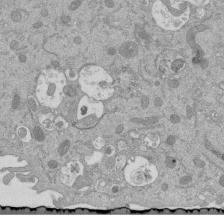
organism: Mouse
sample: ED-1 cell nuclei; centrioles